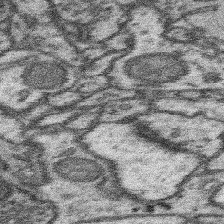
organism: Mouse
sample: Somatosensory cortex neuropil